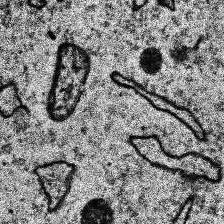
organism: Human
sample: Temporal Lobe